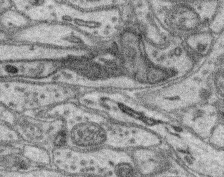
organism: Mouse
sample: Retina